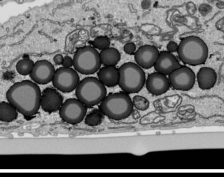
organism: Human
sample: Mitochondria in HCT116 cells